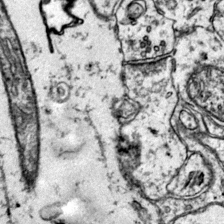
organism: Mouse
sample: Primary visual cortex